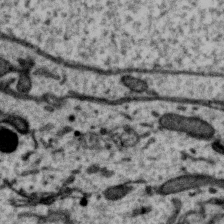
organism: Zebra finch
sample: Brain